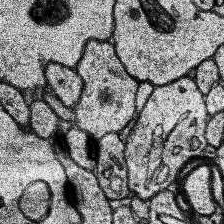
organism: Human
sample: Temporal Lobe